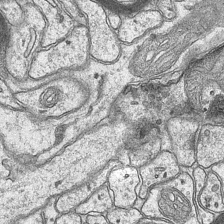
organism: Mouse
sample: CA1 Hippocampus